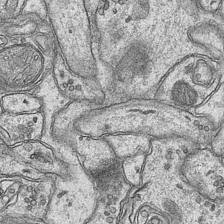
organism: Mouse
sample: CA1 Hippocampus